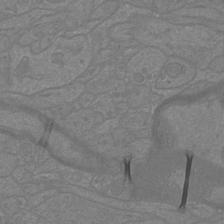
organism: Mouse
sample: Cortical neurons